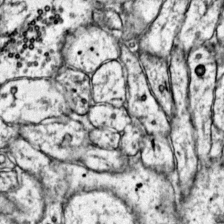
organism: Mouse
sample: Primary visual cortex